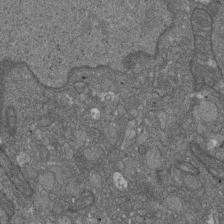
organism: Drosophila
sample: Nephrocyte